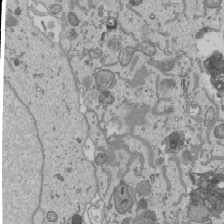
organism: Human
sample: Mitochondria in U2OS cells